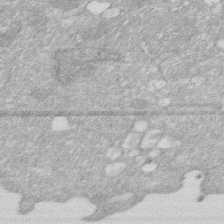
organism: Human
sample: HIV infected U937 cells